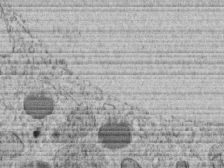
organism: C. elegans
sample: C. elegans embryo early stage